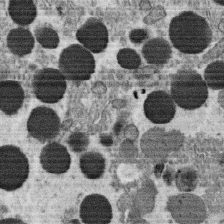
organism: C. elegans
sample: C. elegans oocyte; sperm cells